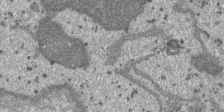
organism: Human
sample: Lung epithelial cells infected with SARS-CoV-2